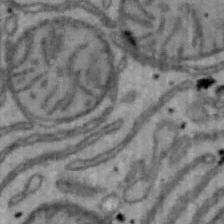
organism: Mouse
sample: Liver